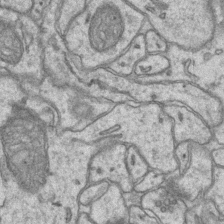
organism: Mouse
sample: CA1 Hippocampus